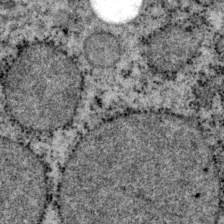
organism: P. pacificus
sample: Pharynx